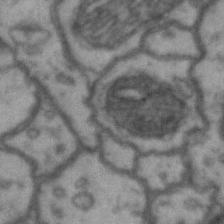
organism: Drosophila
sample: Brain